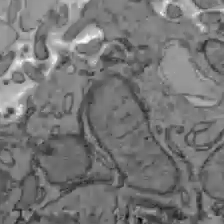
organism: C57BL Mouse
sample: Liver